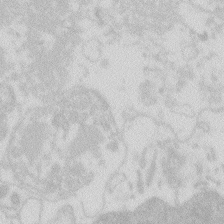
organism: Zebrafish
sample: Macrophage